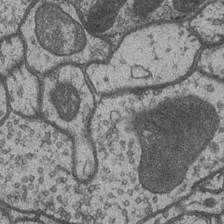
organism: Drosophila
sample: Optic medulla